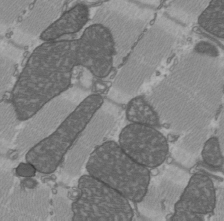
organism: C57BL Mouse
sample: Heart